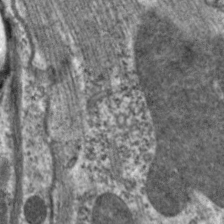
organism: C. elegans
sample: Pharynx